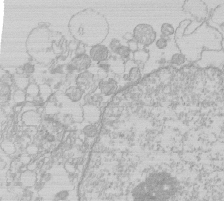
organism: Human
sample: Macrophage cells